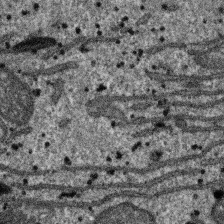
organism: Human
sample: Lung epithelial cells infected with SARS-CoV-2